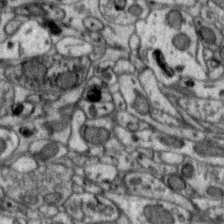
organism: Zebra finch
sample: Brain